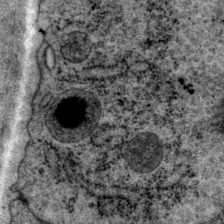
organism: P. pacificus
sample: Pharynx